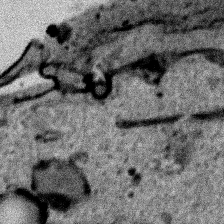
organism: Human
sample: Mitochondria in HCT116 cells